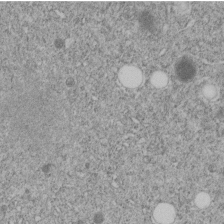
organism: C. elegans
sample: C. elegans embryo early stage